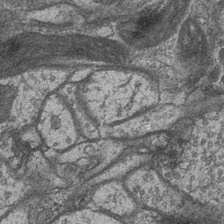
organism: Drosophila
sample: Optic medulla